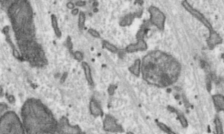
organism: Toxoplasma gondii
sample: Parasites in a vacuole inside a host cell